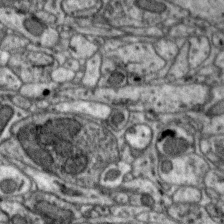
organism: Zebra finch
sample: Brain